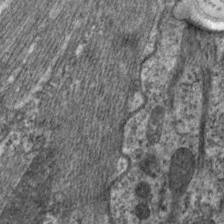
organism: C. elegans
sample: Pharynx